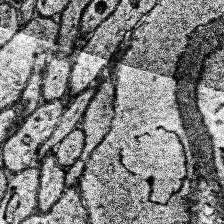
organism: Human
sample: Temporal Lobe